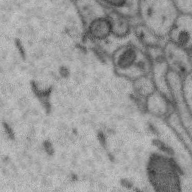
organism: Zebra finch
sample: Brain